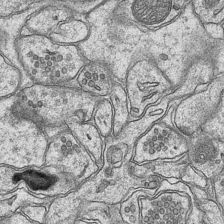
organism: Mouse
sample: CA1 Hippocampus